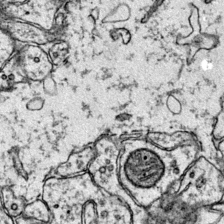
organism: Mouse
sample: Primary visual cortex